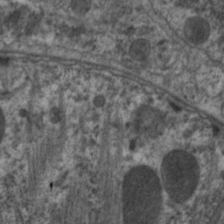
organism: C. elegans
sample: Pharynx